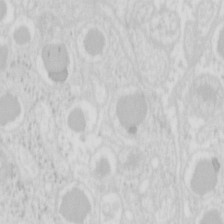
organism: Mouse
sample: Pancreas